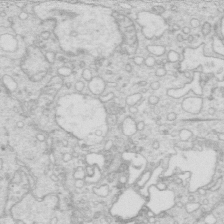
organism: Mouse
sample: Multiciliated cells